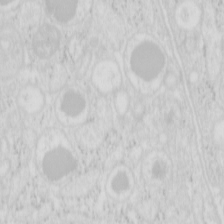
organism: Mouse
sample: Pancreas